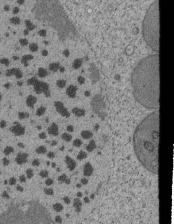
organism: Tetrahymena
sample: Cilia in tetrahymena